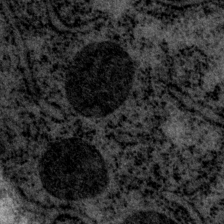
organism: P. pacificus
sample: Pharynx